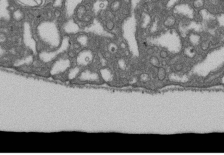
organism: Drosophila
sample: Nephrocyte